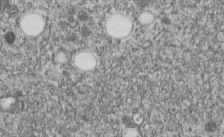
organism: C. elegans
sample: C. elegans embryo early stage